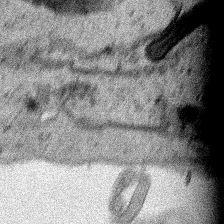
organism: Human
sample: Mitochondria in HCT116 cells